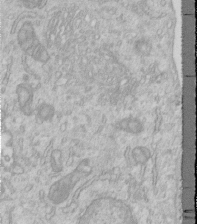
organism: Human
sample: Centriole in RPE cells